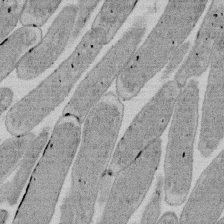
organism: E. coli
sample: Bacterial nucleoid